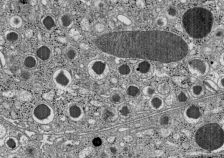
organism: C57BL Mouse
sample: Pancreatic islet